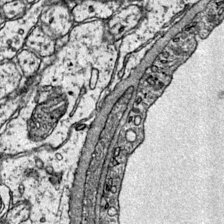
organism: Mouse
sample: Primary visual cortex